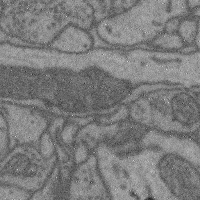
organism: Mouse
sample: Cerebral cortex